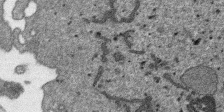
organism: Human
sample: Lung epithelial cells infected with SARS-CoV-2